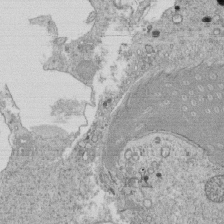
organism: Tetrahymena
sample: Cilia in tetrahymena